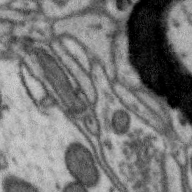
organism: Zebra finch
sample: Brain